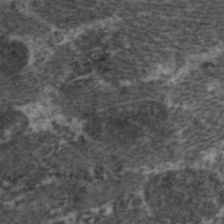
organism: C. elegans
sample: Pharynx